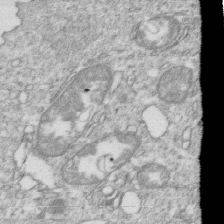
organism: Mouse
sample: Activated OT-1 CD8+ T cells